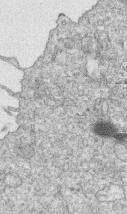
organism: Human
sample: HeLa cell HIV synapse